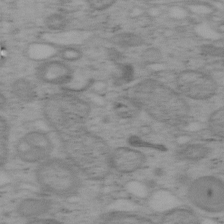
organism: Mouse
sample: OT-I killer T cells with ID8 ovarian cancer cells